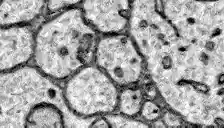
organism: Zebrafish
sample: Brain